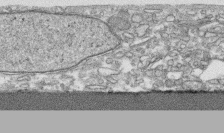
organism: Human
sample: CRL-1474